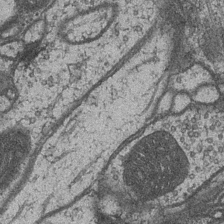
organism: Drosophila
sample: Optic medulla